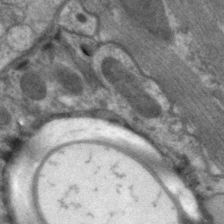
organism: C. elegans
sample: Pharynx